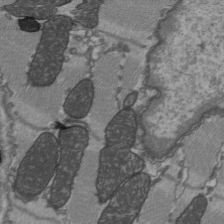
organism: C57BL Mouse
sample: Heart